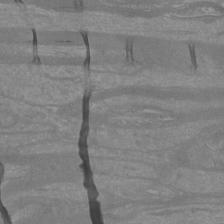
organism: Mouse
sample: Cortical neurons